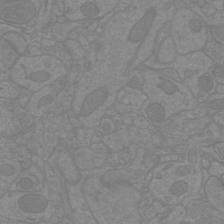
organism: Mouse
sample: Cortical neurons